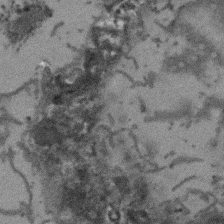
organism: Arabidopsis thaliana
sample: Root tip